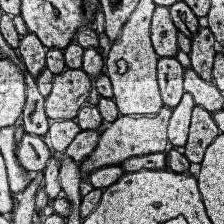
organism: Human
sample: Temporal Lobe